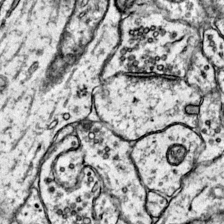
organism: Mouse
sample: Primary visual cortex